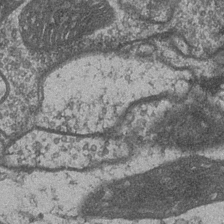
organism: Drosophila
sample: Optic medulla